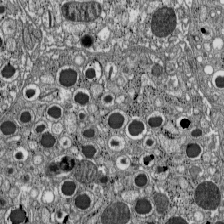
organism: C57BL Mouse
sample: Pancreatic islet